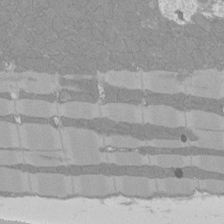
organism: Rat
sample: Left ventricle